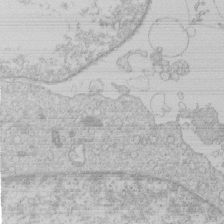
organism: Human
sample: Macrophage cells